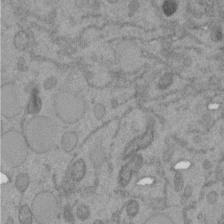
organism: C. elegans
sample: C. elegans embryo early stage